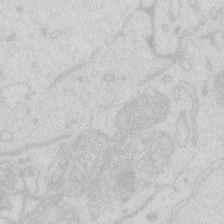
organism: Zebrafish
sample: Macrophage